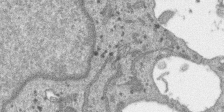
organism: Human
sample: Lung epithelial cells infected with SARS-CoV-2